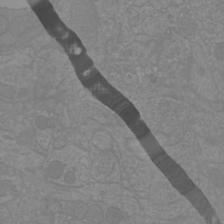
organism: Mouse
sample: Cortical neurons